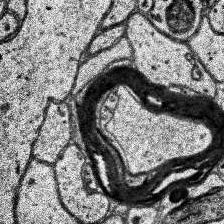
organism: Human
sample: Temporal Lobe